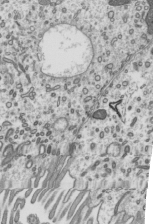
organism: Mouse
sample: Mouse epididymis efferent ductule cilia